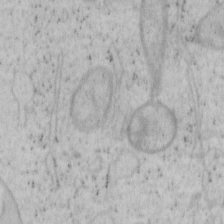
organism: Human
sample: HeLa cells